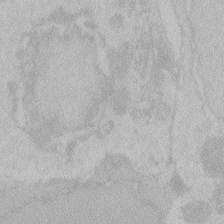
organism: Zebrafish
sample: Macrophage infected with Toxoplasma gondii